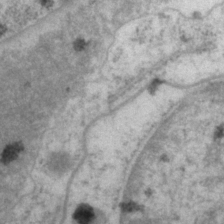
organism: P. pacificus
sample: Pharynx